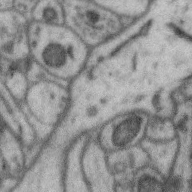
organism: Zebra finch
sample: Brain